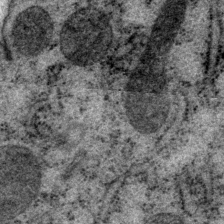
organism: P. pacificus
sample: Pharynx